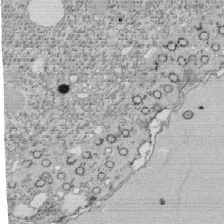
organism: Tetrahymena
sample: Cilia in tetrahymena